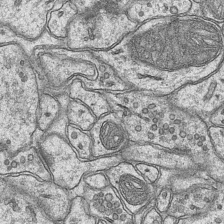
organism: Mouse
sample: CA1 Hippocampus